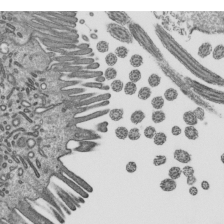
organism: Mouse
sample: Mouse epididymis efferent ductule cilia